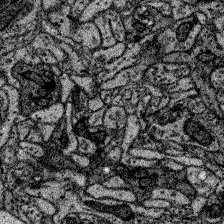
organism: Zebrafish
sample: Larval olfactory bulb